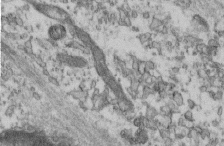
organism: Mouse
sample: Cilia; retinal pigment epithelium